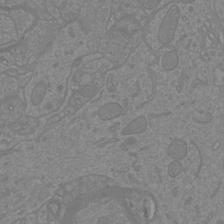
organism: Mouse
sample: Cortical neurons